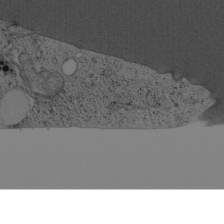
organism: African green monkey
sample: COS-7 cells